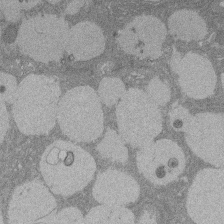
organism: Rat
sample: Salivary granule